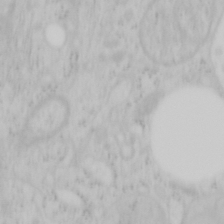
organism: Mouse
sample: OT-I killer T cells with ID8 ovarian cancer cells